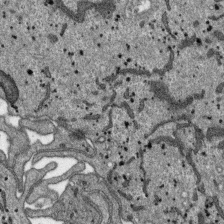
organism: Human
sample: Lung epithelial cells, uninfected (mock) control